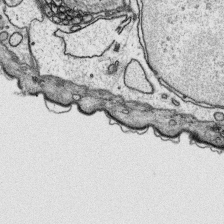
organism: Platynereis dumerilii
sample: Parapodia